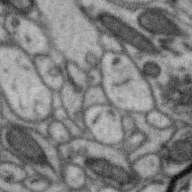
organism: Zebra finch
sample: Brain